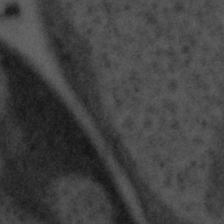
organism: Tuwongella immobilis